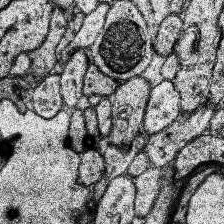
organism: Human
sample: Temporal Lobe